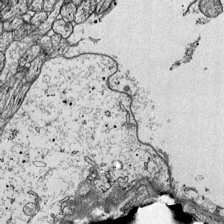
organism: Mouse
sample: Visual Cortex